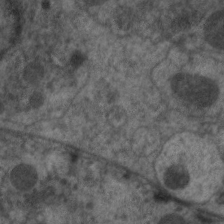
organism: C. elegans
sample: Pharynx